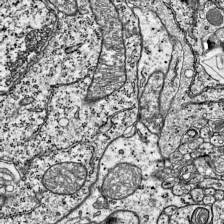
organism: Mouse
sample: Visual Cortex